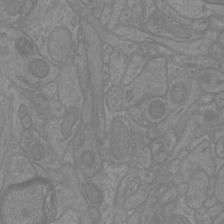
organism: Mouse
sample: Cortical neurons